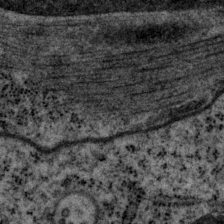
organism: P. pacificus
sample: Pharynx